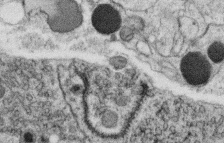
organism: C. elegans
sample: C. elegans oocyte; sperm cells